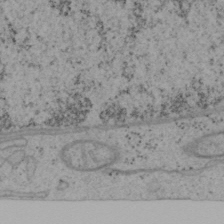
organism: Human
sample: HeLa cells